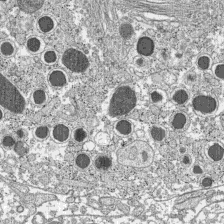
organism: C57BL Mouse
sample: Pancreatic islet